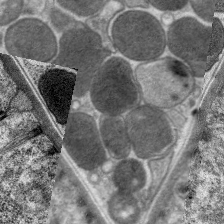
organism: C. elegans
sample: Pharynx